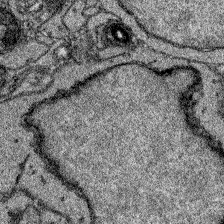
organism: Zebrafish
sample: Larval olfactory bulb